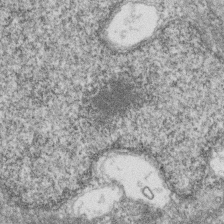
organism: Zebrafish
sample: Cilia; retinal pigment epithelium